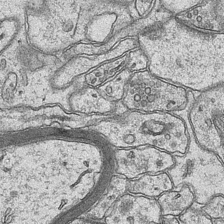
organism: Mouse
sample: CA1 Hippocampus